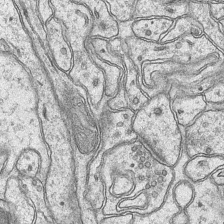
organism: Mouse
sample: CA1 Hippocampus